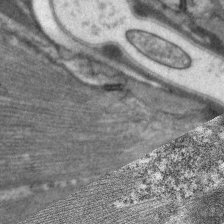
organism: C. elegans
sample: Pharynx